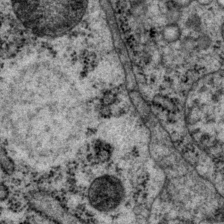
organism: P. pacificus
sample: Pharynx